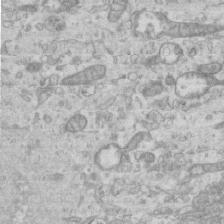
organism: Mouse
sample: Centriole in ependymal cells